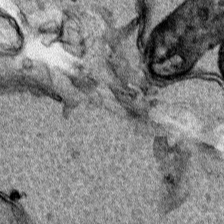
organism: Human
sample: Mitochondria in HCT116 cells